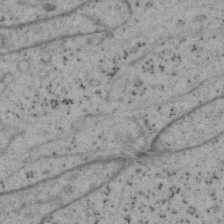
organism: Human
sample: HeLa cells